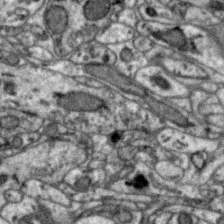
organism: Zebra finch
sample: Brain